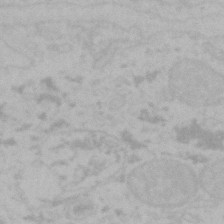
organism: Mouse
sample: Choroid plexus